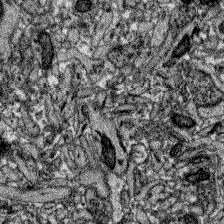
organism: Zebrafish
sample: Larval olfactory bulb